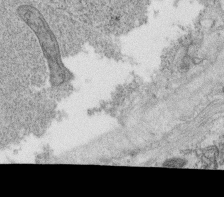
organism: C. elegans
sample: C. elegans oocyte; sperm cells